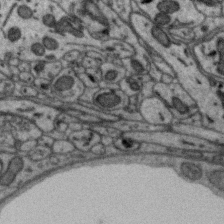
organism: Zebra finch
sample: Brain